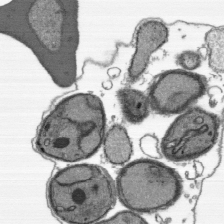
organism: Plasmodium falciparum